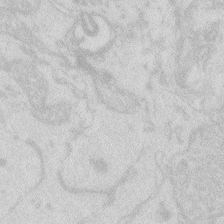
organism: Zebrafish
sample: Macrophage